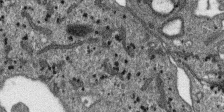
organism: Human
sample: Lung epithelial cells infected with SARS-CoV-2